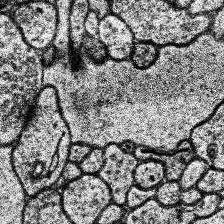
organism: Human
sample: Temporal Lobe